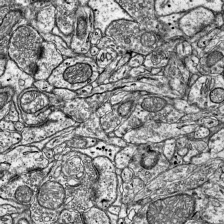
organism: Mouse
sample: Visual Cortex